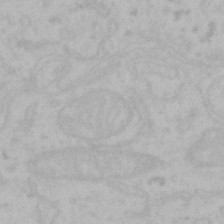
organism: Mouse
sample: Choroid plexus